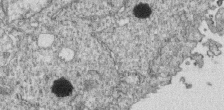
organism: Human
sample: HeLa cell HIV synapse